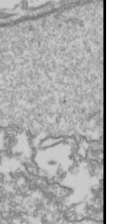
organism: Drosophila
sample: Cell division; meiosis; drosophila spermatocytes